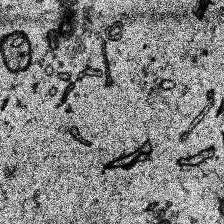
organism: Human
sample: Temporal Lobe